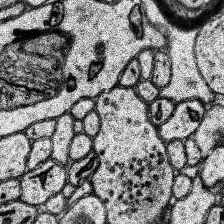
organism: Human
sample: Temporal Lobe